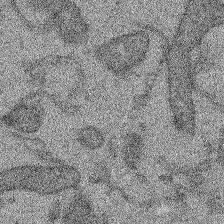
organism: Human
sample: HeLa cells